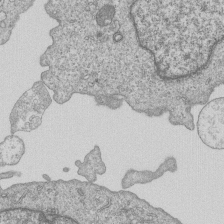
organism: Human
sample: MDA-MB-231 cells